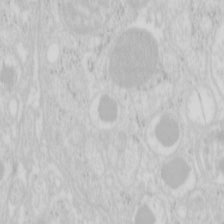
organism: Mouse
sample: Pancreas